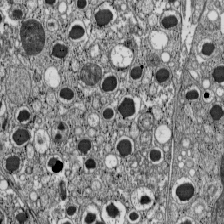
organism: C57BL Mouse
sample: Pancreatic islet